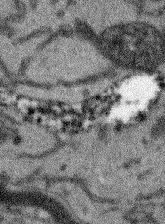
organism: Arabidopsis thaliana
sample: Root tip